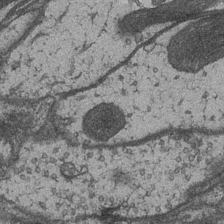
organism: Drosophila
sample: Optic medulla